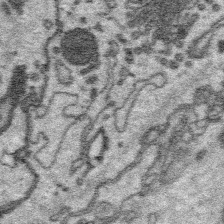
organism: Platynereis dumerilii